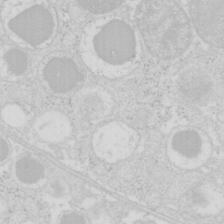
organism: Mouse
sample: Pancreas